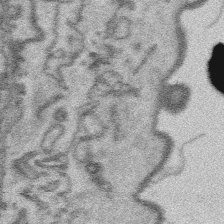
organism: Platynereis dumerilii